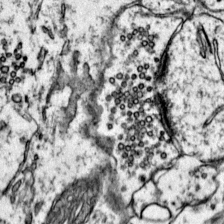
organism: Mouse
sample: Primary visual cortex